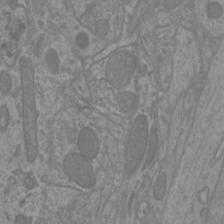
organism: Mouse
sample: Cortical neurons